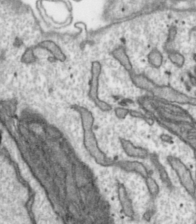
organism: Toxoplasma gondii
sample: Parasites in a vacuole inside a host cell